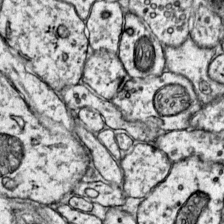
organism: Mouse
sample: Primary visual cortex